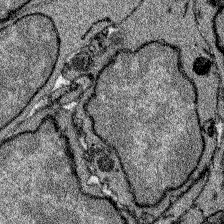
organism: Zebrafish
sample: Larval olfactory bulb